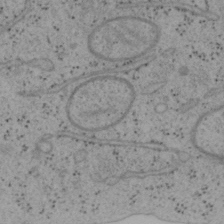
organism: Human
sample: HeLa cells